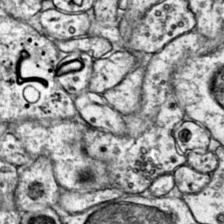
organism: Mouse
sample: Primary visual cortex